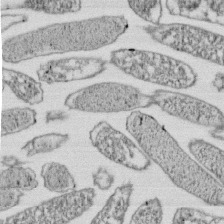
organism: E. coli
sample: Bacterial nucleoid